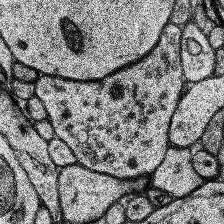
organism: Human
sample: Temporal Lobe